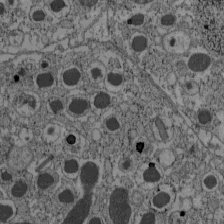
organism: C57BL Mouse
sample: Pancreatic islet